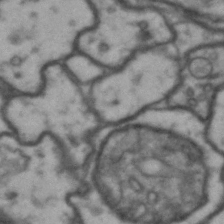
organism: Drosophila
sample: Brain